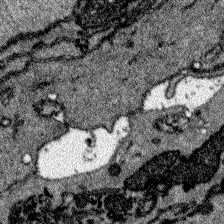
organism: Zebrafish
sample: Larval olfactory bulb